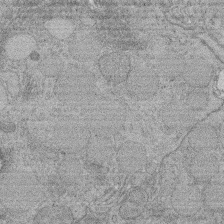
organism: Rat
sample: Salivary granule